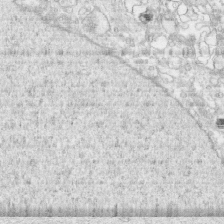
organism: Human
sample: CRL-1474